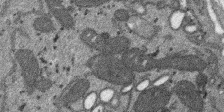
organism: Human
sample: Lung epithelial cells infected with SARS-CoV-2